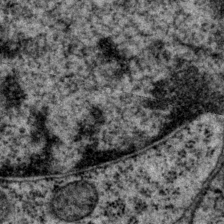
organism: P. pacificus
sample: Pharynx